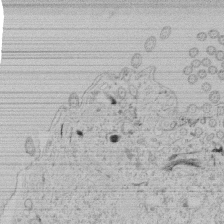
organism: Tetrahymena